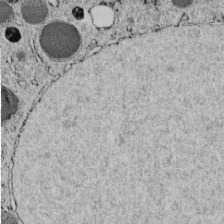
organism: C. elegans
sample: C. elegans embryo early stage